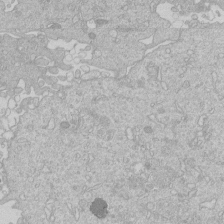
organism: Human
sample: Macrophage cells